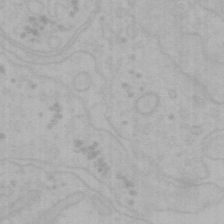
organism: Mouse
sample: Choroid plexus